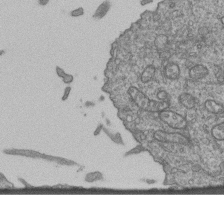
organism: Human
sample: Retinal organoid Rod and Cone cells